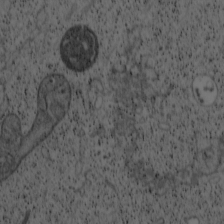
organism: African green monkey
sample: COS-7 cells